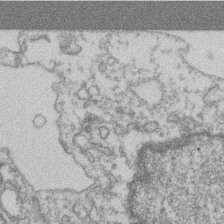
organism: Mouse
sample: T cell stromal cell synapse